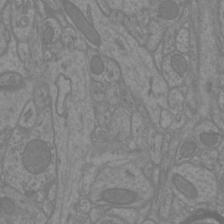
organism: Mouse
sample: Cortical neurons